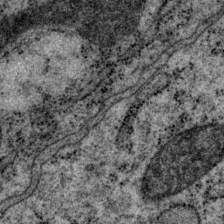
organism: P. pacificus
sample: Pharynx